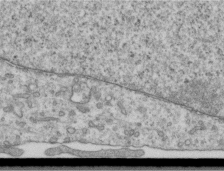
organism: Human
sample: Centriole in RPE cells